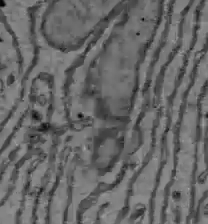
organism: C57BL Mouse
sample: Liver